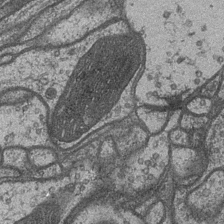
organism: Drosophila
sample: Optic medulla